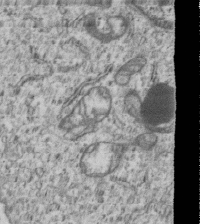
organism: Human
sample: MDA-MB-231 cells